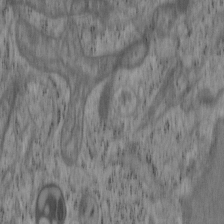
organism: Human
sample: HeLa cells